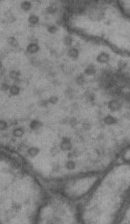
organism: Drosophila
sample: Brain